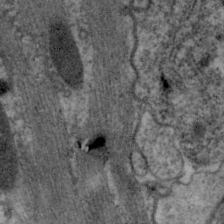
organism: C. elegans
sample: Pharynx